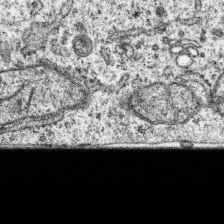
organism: Human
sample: HeLa cells